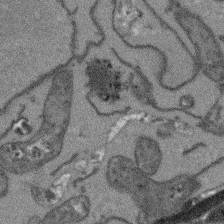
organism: Arabidopsis thaliana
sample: Root tip